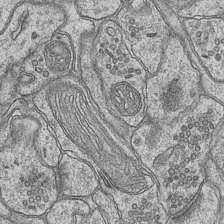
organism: Mouse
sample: CA1 Hippocampus